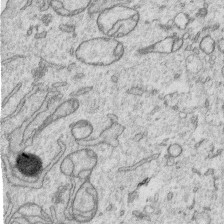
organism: Human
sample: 1205lu cells